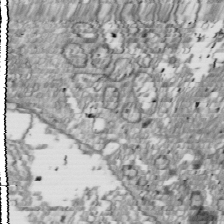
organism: Drosophila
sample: Cell division; meiosis; drosophila spermatocytes